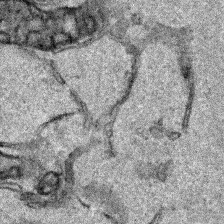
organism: Human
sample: Mitochondria in HCT116 cells